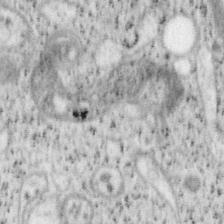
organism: Mouse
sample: OT-I killer T cells with ID8 ovarian cancer cells